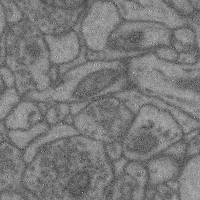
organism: Mouse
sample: Cerebral cortex